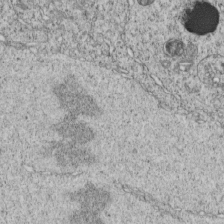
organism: C. elegans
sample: C. elegans embryo early stage